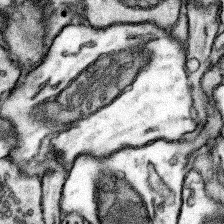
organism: Mouse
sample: Somatosensory cortex neuropil